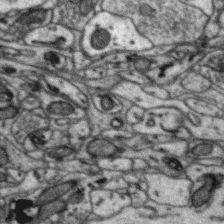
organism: Zebra finch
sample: Brain